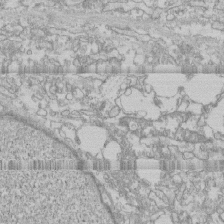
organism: Human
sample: CRL-1474